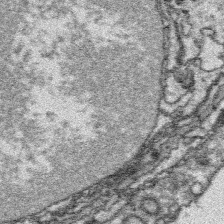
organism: Platynereis dumerilii